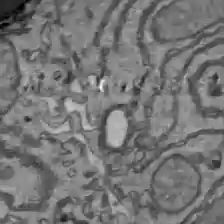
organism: C57BL Mouse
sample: Liver